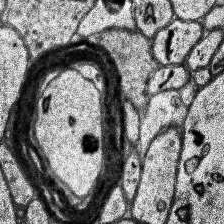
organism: Human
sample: Temporal Lobe